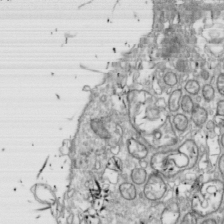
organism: Drosophila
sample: Cell division; meiosis; drosophila spermatocytes